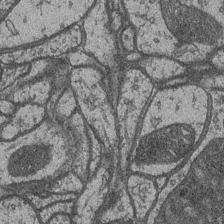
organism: Drosophila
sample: Optic medulla